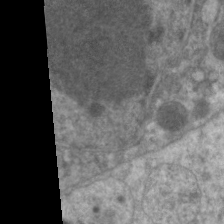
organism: C. elegans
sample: Pharynx